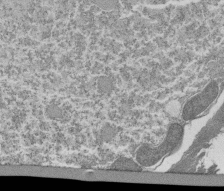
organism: Tetrahymena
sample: Cilia in tetrahymena